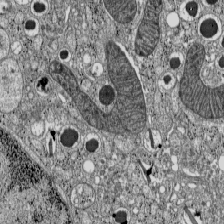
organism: C57BL Mouse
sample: Pancreatic islet